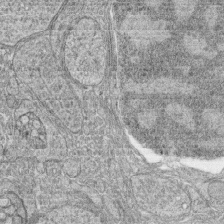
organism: Zebrafish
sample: synaptic ribbons in rod cells and cone cells